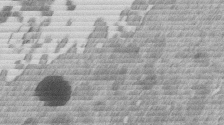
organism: Mouse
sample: Dividing mouse embryo 1 cell stage